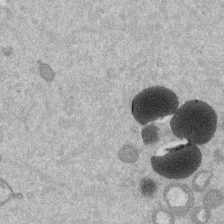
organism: Mouse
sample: Dividing mouse embryo 1 cell stage